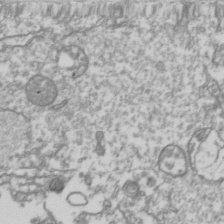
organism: Drosophila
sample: Cell division; meiosis; drosophila spermatocytes